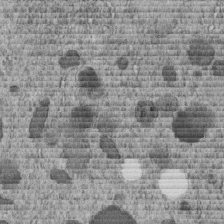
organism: C. elegans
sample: C. elegans embryo early stage